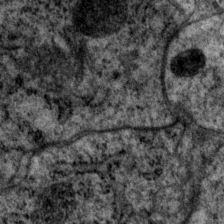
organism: P. pacificus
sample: Pharynx